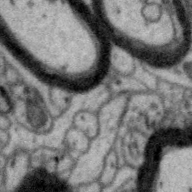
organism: Zebra finch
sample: Brain